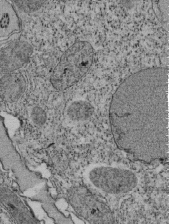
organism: Tetrahymena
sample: Cilia in tetrahymena